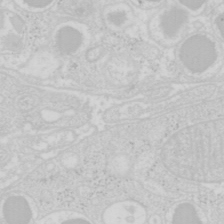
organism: Mouse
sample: Pancreas